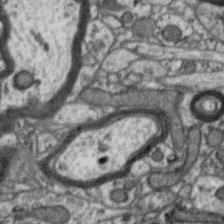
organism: Zebra finch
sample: Brain